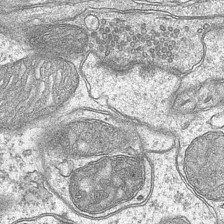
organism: Mouse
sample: CA1 Hippocampus